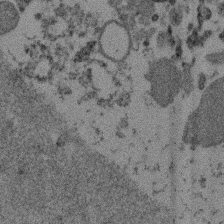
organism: Mouse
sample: Dividing mouse embryo 1 cell stage